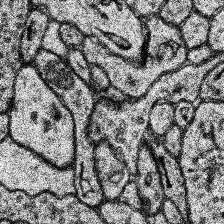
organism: Human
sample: Temporal Lobe